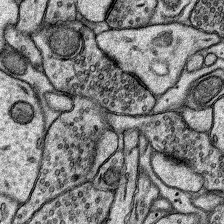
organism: Rat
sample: Hippocampus